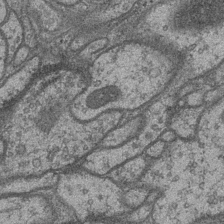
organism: Drosophila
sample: Optic medulla